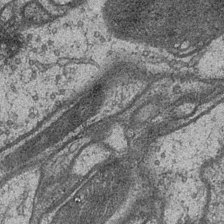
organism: Drosophila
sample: Optic medulla